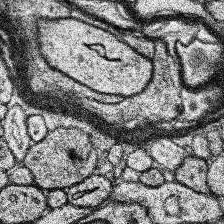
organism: Human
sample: Temporal Lobe